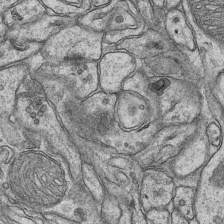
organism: Mouse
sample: CA1 Hippocampus